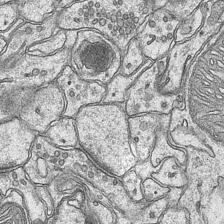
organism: Mouse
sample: CA1 Hippocampus